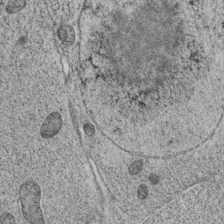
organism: C. elegans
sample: C. elegans oocyte; sperm cells